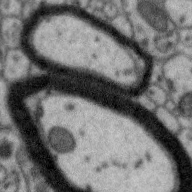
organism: Zebra finch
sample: Brain